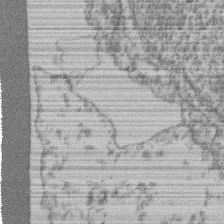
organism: Mouse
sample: T cell stromal cell synapse